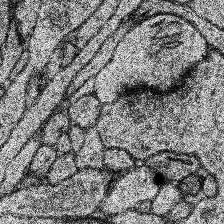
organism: Human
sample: Temporal Lobe